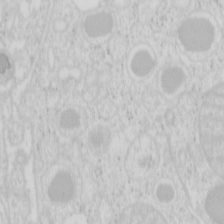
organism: Mouse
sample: Pancreas